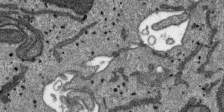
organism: Human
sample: Lung epithelial cells, uninfected (mock) control